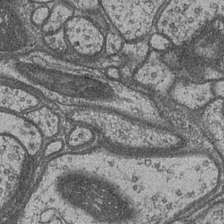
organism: Drosophila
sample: Optic medulla